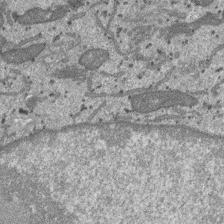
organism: Human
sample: Lung epithelial cells infected with SARS-CoV-2